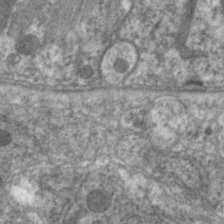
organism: C. elegans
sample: Pharynx